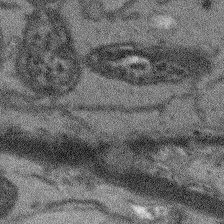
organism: Arabidopsis thaliana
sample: Root tip